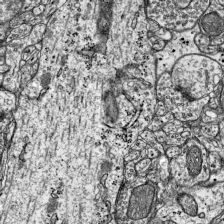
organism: Mouse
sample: Visual Cortex